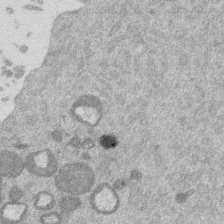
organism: Mouse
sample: Dividing mouse embryo 1 cell stage